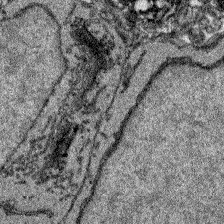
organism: Zebrafish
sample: Larval olfactory bulb